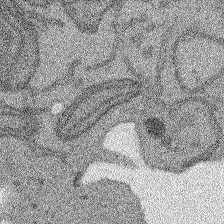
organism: Human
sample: HeLa cells